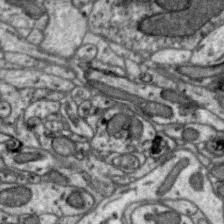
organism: Zebra finch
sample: Brain